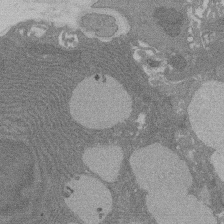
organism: Rat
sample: Salivary granule